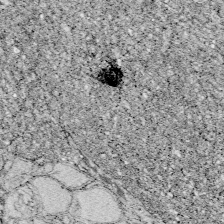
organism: Zebrafish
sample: Whole-Brain